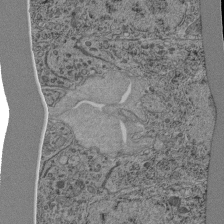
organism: C. elegans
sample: C. elegans pharynx